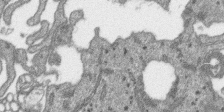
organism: Human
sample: Lung epithelial cells infected with SARS-CoV-2